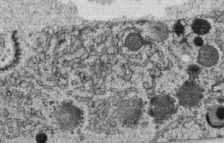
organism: C. elegans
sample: C. elegans oocyte; sperm cells